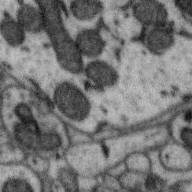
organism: Zebra finch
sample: Brain